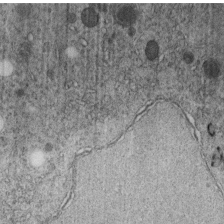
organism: C. elegans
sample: C. elegans embryo early stage